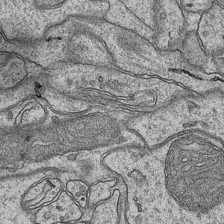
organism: Mouse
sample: CA1 Hippocampus